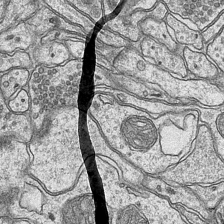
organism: Mouse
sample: CA1 Hippocampus